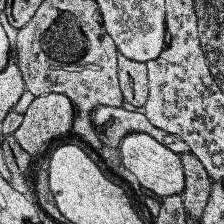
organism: Human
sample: Temporal Lobe